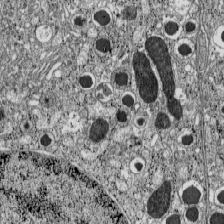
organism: C57BL Mouse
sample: Pancreatic islet